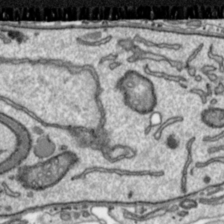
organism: Toxoplasma gondii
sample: Parasites in a vacuole inside a host cell